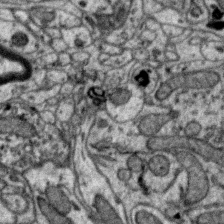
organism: Zebra finch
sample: Brain